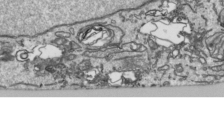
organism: Human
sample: Mitochondria in HCT116 cells